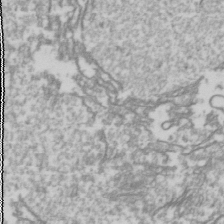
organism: Drosophila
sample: Cell division; meiosis; drosophila spermatocytes